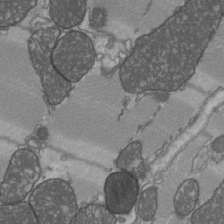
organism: C57BL Mouse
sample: Heart